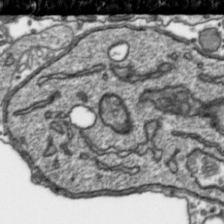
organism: Toxoplasma gondii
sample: Parasites in a vacuole inside a host cell